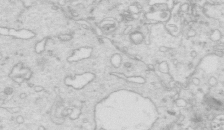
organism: Mouse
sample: Multiciliated cells